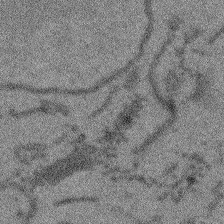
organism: Arabidopsis thaliana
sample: Root tip